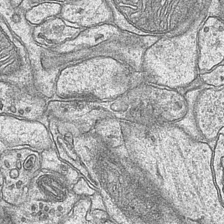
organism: Mouse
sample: CA1 Hippocampus